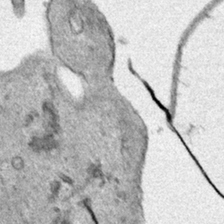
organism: Human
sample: Mitochondria in HCT116 cells